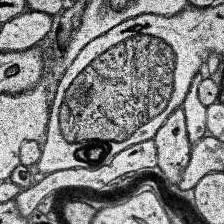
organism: Human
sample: Temporal Lobe